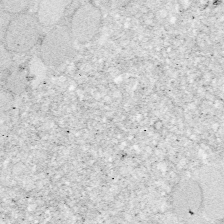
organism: Zebrafish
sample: Whole-Brain